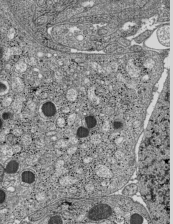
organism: C57BL Mouse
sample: Pancreatic islet